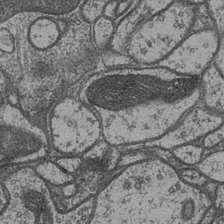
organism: Drosophila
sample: Optic medulla